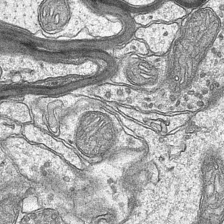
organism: Mouse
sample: CA1 Hippocampus